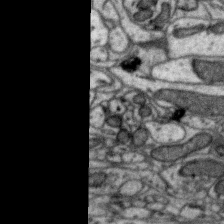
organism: Zebra finch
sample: Brain